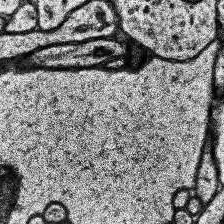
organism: Human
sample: Temporal Lobe